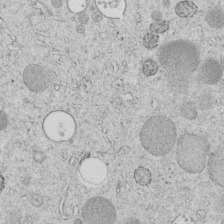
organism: C. elegans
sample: C. elegans embryo early stage